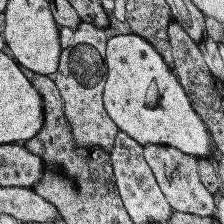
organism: Human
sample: Temporal Lobe